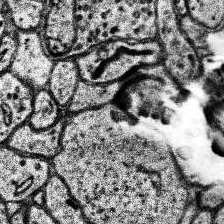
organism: Human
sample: Temporal Lobe